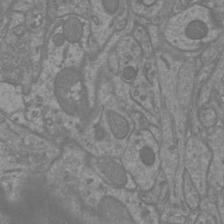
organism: Mouse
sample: Cortical neurons